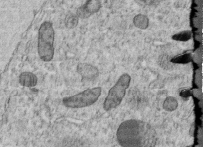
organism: C. elegans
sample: C. elegans embryo early stage